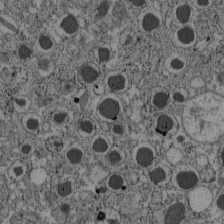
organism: C57BL Mouse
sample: Pancreatic islet